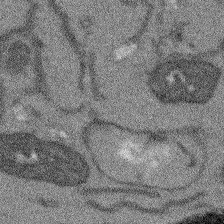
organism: Arabidopsis thaliana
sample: Root tip